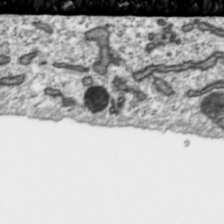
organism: Toxoplasma gondii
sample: Parasites in a vacuole inside a host cell